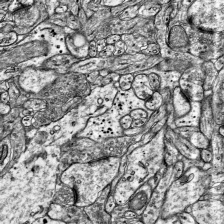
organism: Mouse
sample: Visual Cortex